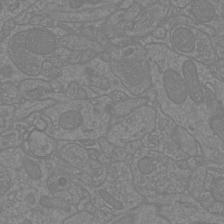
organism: Mouse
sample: Cortical neurons